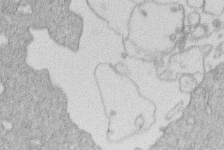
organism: Human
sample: Macrophage cells